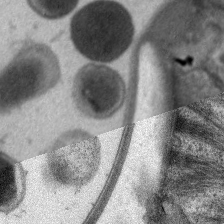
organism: C. elegans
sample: Pharynx